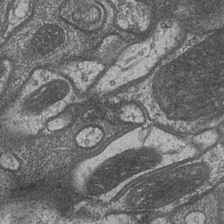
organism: Drosophila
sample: Optic medulla